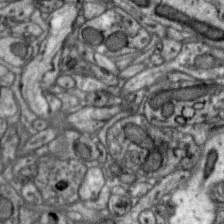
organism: Zebra finch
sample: Brain